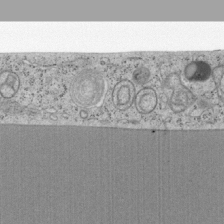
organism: Human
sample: HeLa cells